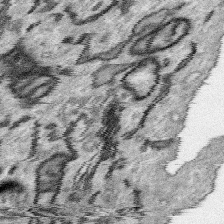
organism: Human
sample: HeLa cells